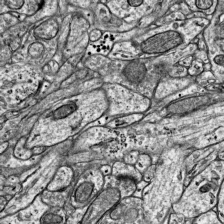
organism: Mouse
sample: Visual Cortex